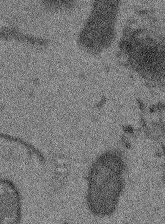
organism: Arabidopsis thaliana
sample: Root tip